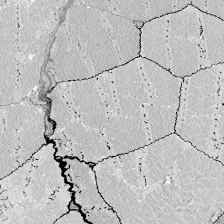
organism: Zebrafish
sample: Whole-Brain